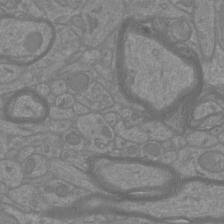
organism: Mouse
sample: Cortical neurons